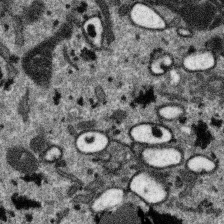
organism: Human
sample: Lung epithelial cells infected with SARS-CoV-2